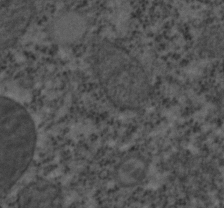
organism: C. elegans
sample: C. elegans embryo